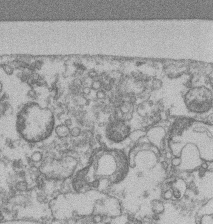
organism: Mouse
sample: T cell stromal cell synapse